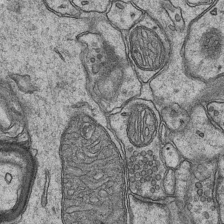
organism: Mouse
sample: CA1 Hippocampus